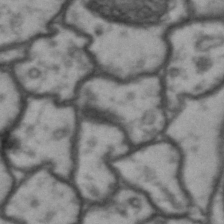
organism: Drosophila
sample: Brain